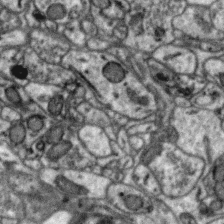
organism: Zebra finch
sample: Brain